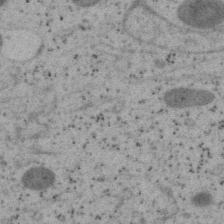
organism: Human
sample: HeLa cells